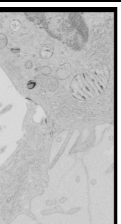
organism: Human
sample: Mitochondria in HCT116 cells